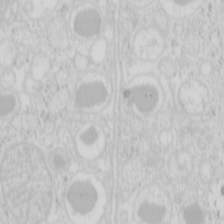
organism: Mouse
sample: Pancreas